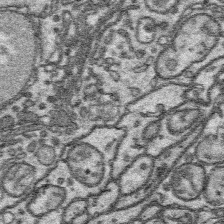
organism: Platynereis dumerilii